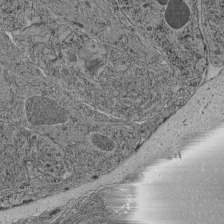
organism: C. elegans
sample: C. elegans pharynx